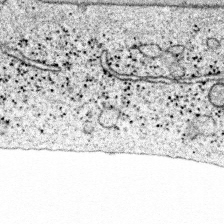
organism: Human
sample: HeLa cells